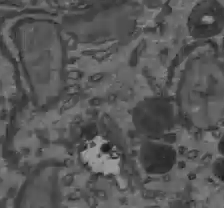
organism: C57BL Mouse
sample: Liver